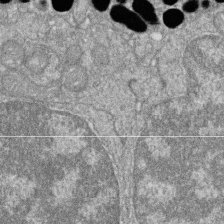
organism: Zebrafish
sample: Cilia; retinal pigment epithelium